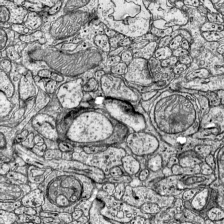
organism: Mouse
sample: Visual Cortex